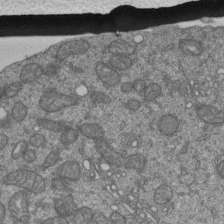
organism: Human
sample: Retinal organoid Rod and Cone cells